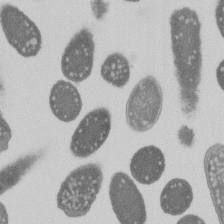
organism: E. coli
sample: Bacterial nucleoid